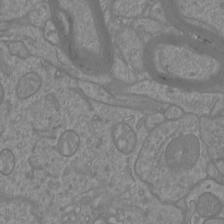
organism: Mouse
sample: Cortical neurons